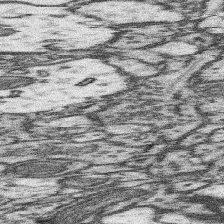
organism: Mouse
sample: Somatosensory cortex neuropil